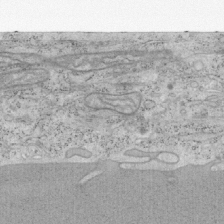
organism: Human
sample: HeLa cells